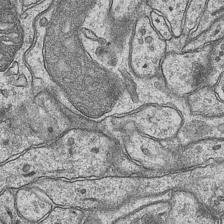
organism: Mouse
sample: CA1 Hippocampus